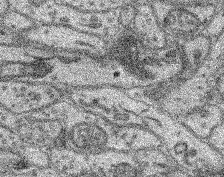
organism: Mouse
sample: Retina